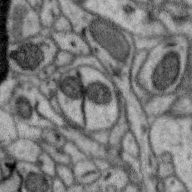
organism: Zebra finch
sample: Brain